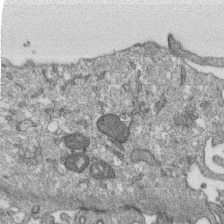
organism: African green monkey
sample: Vero E6 cells infected with SARS-CoV-2